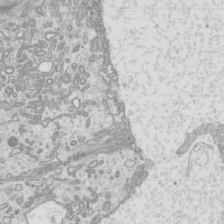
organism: Mouse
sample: Cilia; mouse epididymis